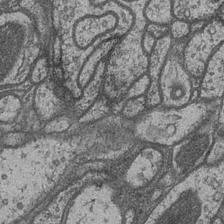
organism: Drosophila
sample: Optic medulla